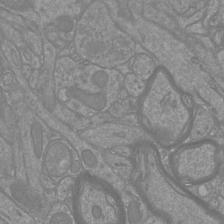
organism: Mouse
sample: Cortical neurons